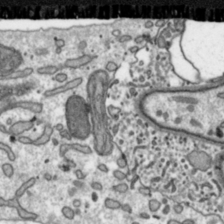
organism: Toxoplasma gondii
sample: Parasites in a vacuole inside a host cell